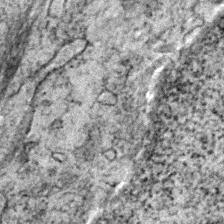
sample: Trachea